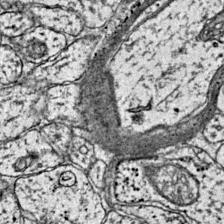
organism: Mouse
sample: Primary visual cortex